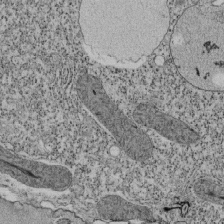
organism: Tetrahymena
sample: Cilia in tetrahymena